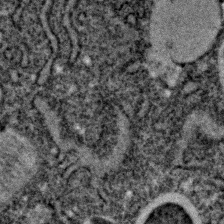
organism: C. elegans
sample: C. elegans embryo